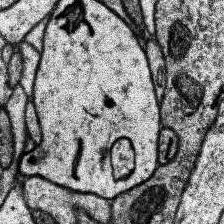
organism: Human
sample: Temporal Lobe